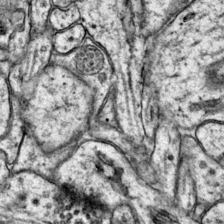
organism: Mouse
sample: Primary visual cortex